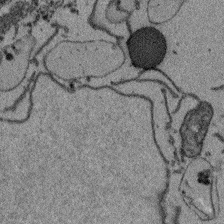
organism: Arabidopsis thaliana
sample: Root tip